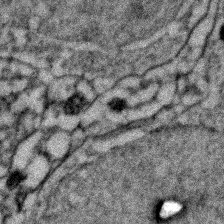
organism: Zebrafish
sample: Zebrafish embryo